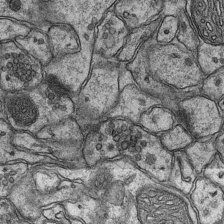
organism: Mouse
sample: CA1 Hippocampus